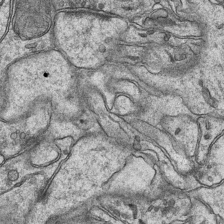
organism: Mouse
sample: CA1 Hippocampus